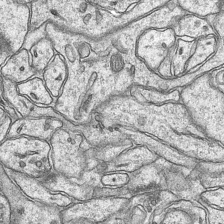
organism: Mouse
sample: CA1 Hippocampus